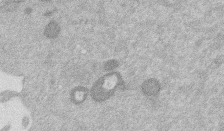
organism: Mouse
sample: Dividing mouse embryo 1 cell stage